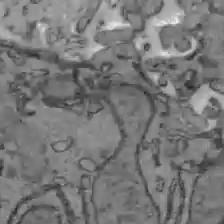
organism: C57BL Mouse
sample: Liver